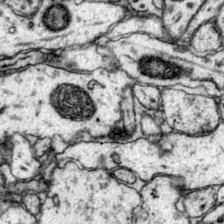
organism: Mouse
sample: Primary visual cortex